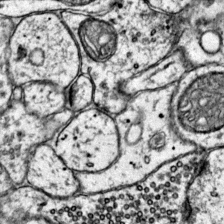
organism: Mouse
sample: Primary visual cortex